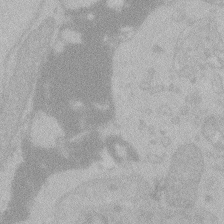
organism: Zebrafish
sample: Macrophage infected with Toxoplasma gondii